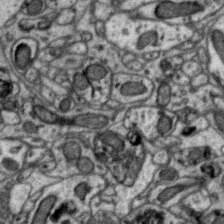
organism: Zebra finch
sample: Brain